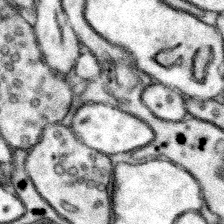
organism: Mouse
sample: Somatosensory cortex neuropil